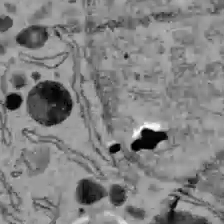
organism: C57BL Mouse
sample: Liver